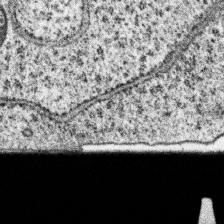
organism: Human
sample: HeLa cells